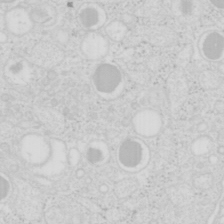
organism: Mouse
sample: Pancreas